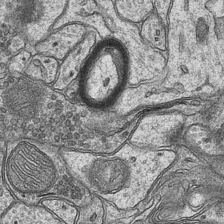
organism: Mouse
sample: CA1 Hippocampus